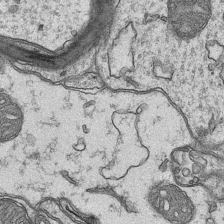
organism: Mouse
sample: CA1 Hippocampus